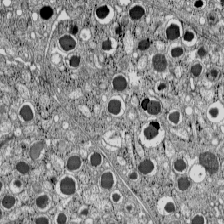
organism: C57BL Mouse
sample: Pancreatic islet